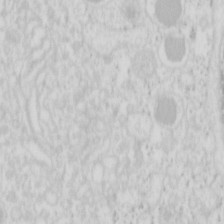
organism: Mouse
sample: Pancreas